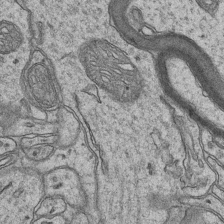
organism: Mouse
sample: CA1 Hippocampus